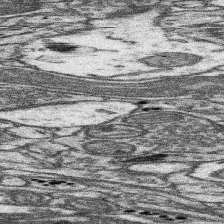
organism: Mouse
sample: Somatosensory cortex neuropil